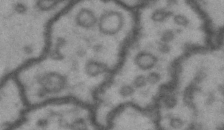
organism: Drosophila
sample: Brain